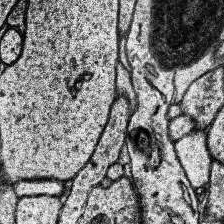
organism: Human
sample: Temporal Lobe